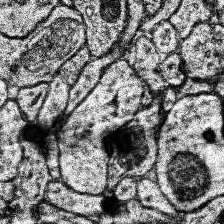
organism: Human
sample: Temporal Lobe